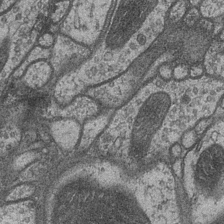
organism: Drosophila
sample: Optic medulla